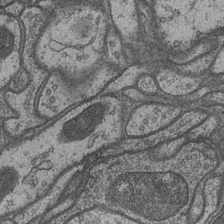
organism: Drosophila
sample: Optic medulla